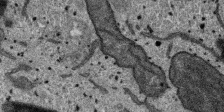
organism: Human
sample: Lung epithelial cells, uninfected (mock) control